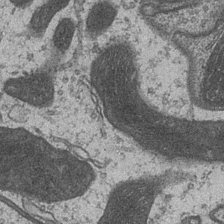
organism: Drosophila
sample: Optic medulla